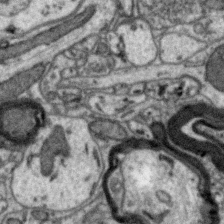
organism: Zebra finch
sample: Brain